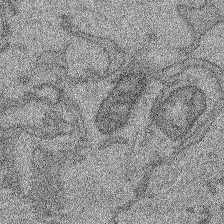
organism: Human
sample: HeLa cells